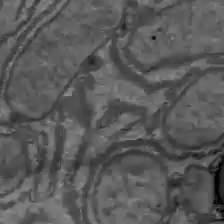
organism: C57BL Mouse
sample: Liver